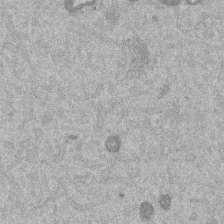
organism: Mouse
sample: Dividing mouse embryo 1 cell stage